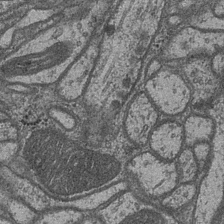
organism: Drosophila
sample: Optic medulla